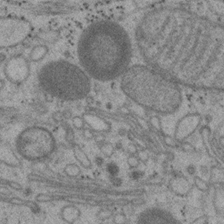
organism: Human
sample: HeLa cells